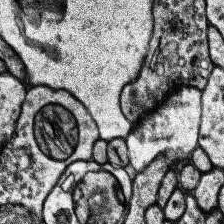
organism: Human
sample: Temporal Lobe